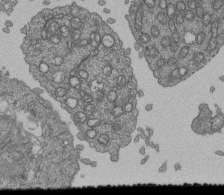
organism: Human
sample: Retinal organoid Rod and Cone cells